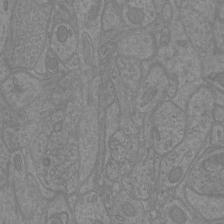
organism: Mouse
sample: Cortical neurons